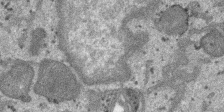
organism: Human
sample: Lung epithelial cells infected with SARS-CoV-2